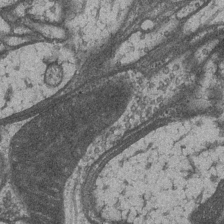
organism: Drosophila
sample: Optic medulla